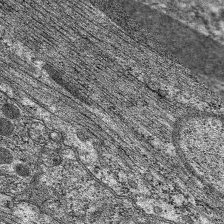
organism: C. elegans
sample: Pharynx